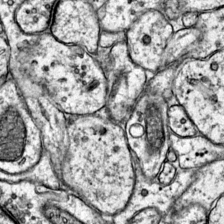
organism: Mouse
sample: Primary visual cortex